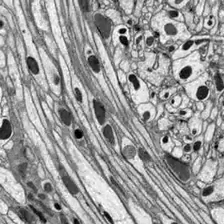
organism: Drosophila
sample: Optic lobe